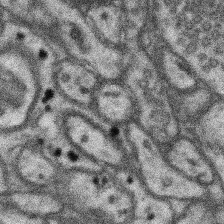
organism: Mouse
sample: Somatosensory cortex neuropil